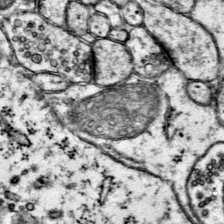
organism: Mouse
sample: Primary visual cortex